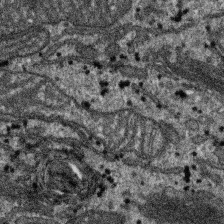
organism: Human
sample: Lung epithelial cells infected with SARS-CoV-2